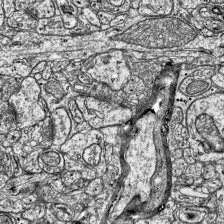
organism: Mouse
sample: Visual Cortex